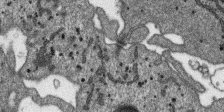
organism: Human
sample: Lung epithelial cells infected with SARS-CoV-2